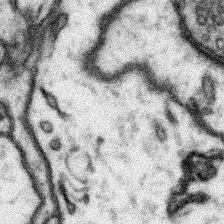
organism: Mouse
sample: Somatosensory cortex neuropil